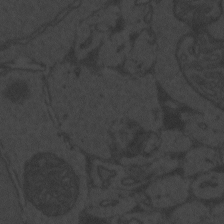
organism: Zebrafish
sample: Macrophage infected with Toxoplasma gondii